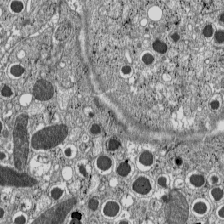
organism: C57BL Mouse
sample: Pancreatic islet